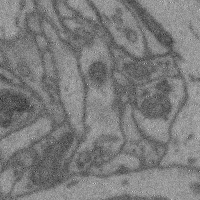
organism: Mouse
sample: Cerebral cortex